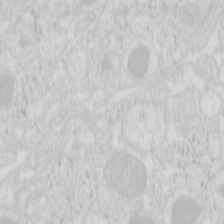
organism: Mouse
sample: Pancreas